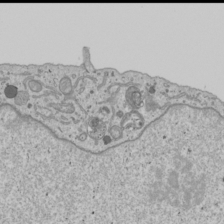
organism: Human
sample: Mitochondria in U2OS cells